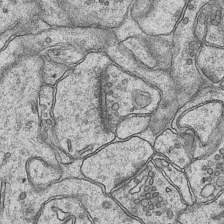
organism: Mouse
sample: CA1 Hippocampus